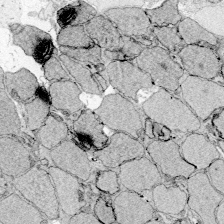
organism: Zebrafish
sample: Whole-Brain